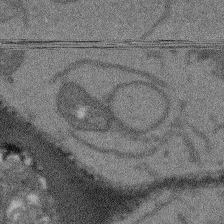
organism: Arabidopsis thaliana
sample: Root tip